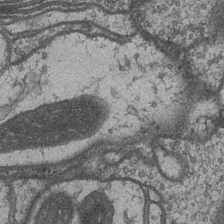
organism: Drosophila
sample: Optic medulla